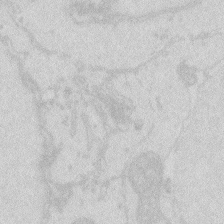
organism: Zebrafish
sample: Macrophage